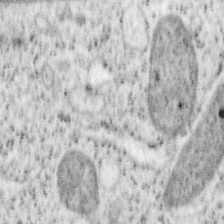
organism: Mouse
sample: OT-I killer T cells with ID8 ovarian cancer cells